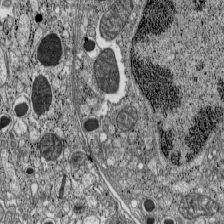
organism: C57BL Mouse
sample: Pancreatic islet